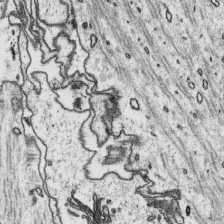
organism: Platynereis dumerilii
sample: Parapodia